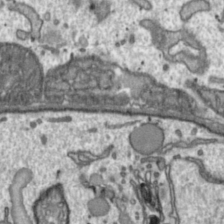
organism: Toxoplasma gondii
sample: Parasites in a vacuole inside a host cell